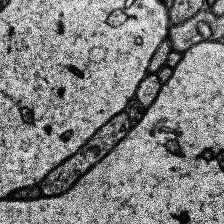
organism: Human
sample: Temporal Lobe